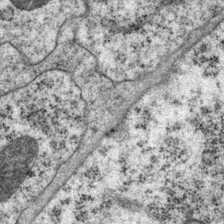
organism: P. pacificus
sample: Pharynx